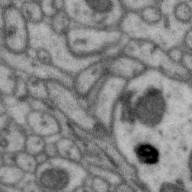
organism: Zebra finch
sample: Brain